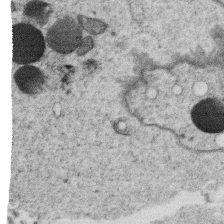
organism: C. elegans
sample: C. elegans oocyte; sperm cells